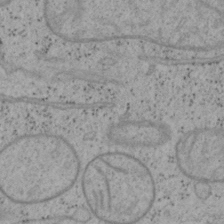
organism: Human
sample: HeLa cells